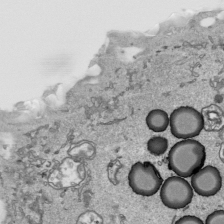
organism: Human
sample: Mitochondria in HCT116 cells